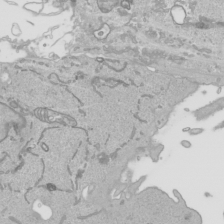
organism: Human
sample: Mitochondria in HCT116 cells